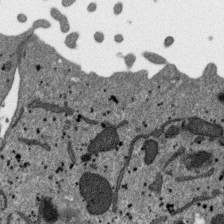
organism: Human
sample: Lung epithelial cells, uninfected (mock) control